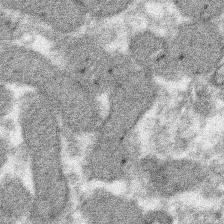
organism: Xenopus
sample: Cilia; centrioles in frog embryo cells